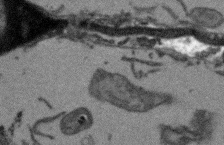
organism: Arabidopsis thaliana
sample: Root tip